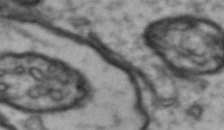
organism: Drosophila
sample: Brain